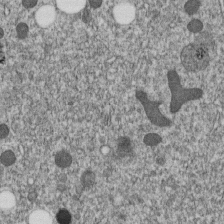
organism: C. elegans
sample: C. elegans embryo early stage